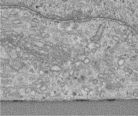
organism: Human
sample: Centriole in RPE cells